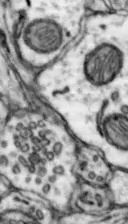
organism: Mouse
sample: Nucleus accumbens